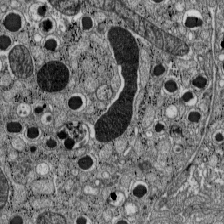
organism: C57BL Mouse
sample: Pancreatic islet